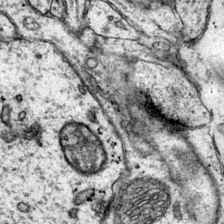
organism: Mouse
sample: Primary visual cortex